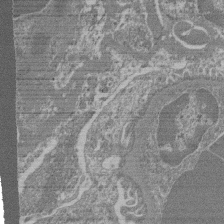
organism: Mouse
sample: Glomerulus